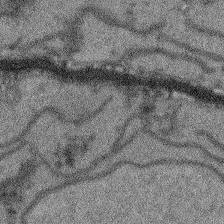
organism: Arabidopsis thaliana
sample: Root tip